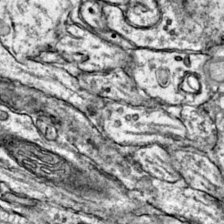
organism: Mouse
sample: Primary visual cortex